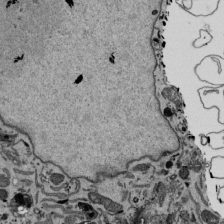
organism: Mouse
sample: ED-1 cell nuclei; centrioles